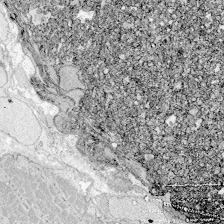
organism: Zebrafish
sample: Whole-Brain